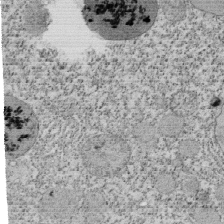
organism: Tetrahymena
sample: Cilia in tetrahymena